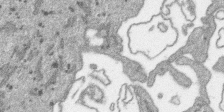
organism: Human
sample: Lung epithelial cells infected with SARS-CoV-2